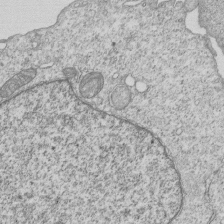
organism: Human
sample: MDA-MB-231 cells